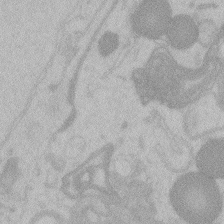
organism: Zebrafish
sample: Macrophage infected with Toxoplasma gondii